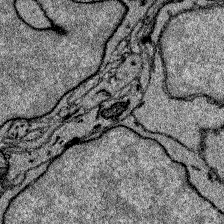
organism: Zebrafish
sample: Larval olfactory bulb